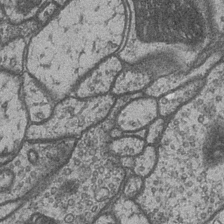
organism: Drosophila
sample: Optic medulla